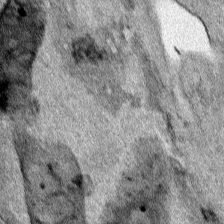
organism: Human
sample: Mitochondria in HCT116 cells